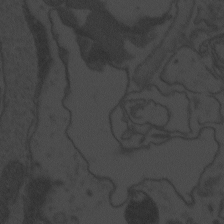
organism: Zebrafish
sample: Macrophage infected with Toxoplasma gondii